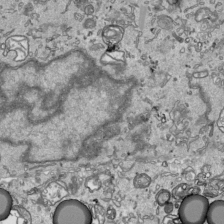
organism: Human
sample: Mitochondria in HCT116 cells